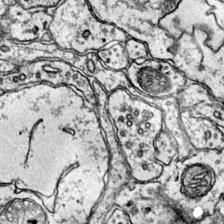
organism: Mouse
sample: Primary visual cortex